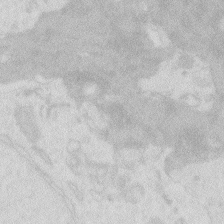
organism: Zebrafish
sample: Macrophage